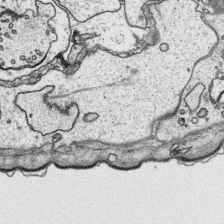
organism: Platynereis dumerilii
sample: Parapodia